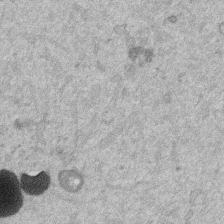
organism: Mouse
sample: Dividing mouse embryo 1 cell stage